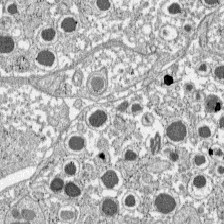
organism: C57BL Mouse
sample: Pancreatic islet